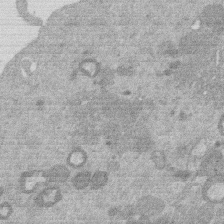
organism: Mouse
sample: Dividing mouse embryo 1 cell stage